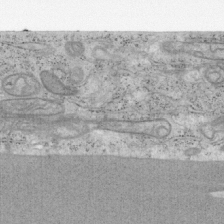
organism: Human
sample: HeLa cells